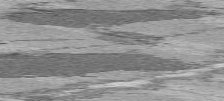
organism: C57BL Mouse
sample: Heart